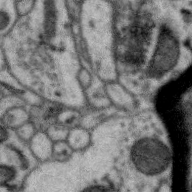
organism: Zebra finch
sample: Brain